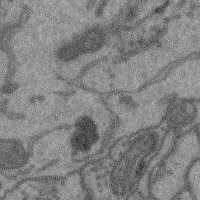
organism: Mouse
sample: Cerebral cortex